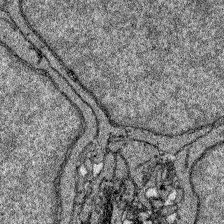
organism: Zebrafish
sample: Larval olfactory bulb